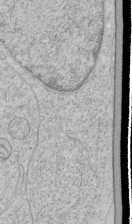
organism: Human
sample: Mitochondria in HCT116 cells